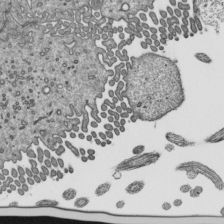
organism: Mouse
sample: Mouse epididymis efferent ductule cilia